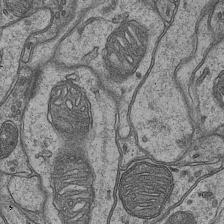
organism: Mouse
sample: CA1 Hippocampus